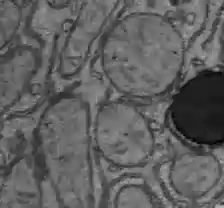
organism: C57BL Mouse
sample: Liver